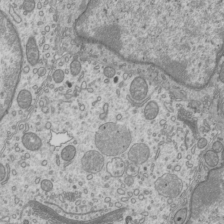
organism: Mouse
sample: Cilia; mouse epididymis